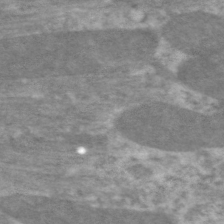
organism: C. elegans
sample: Pharynx